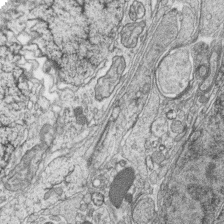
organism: Zebrafish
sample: synaptic ribbons in rod cells and cone cells